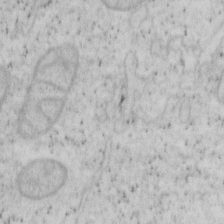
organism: Human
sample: HeLa cells